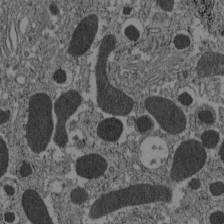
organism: C57BL Mouse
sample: Pancreatic islet